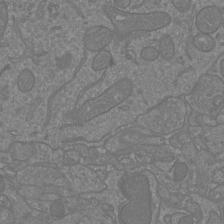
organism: Mouse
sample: Cortical neurons